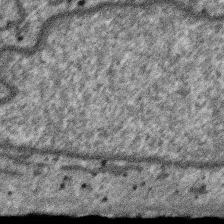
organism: Human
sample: Lung epithelial cells infected with SARS-CoV-2